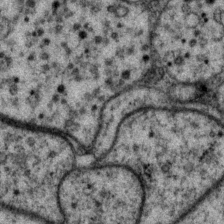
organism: P. pacificus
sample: Pharynx